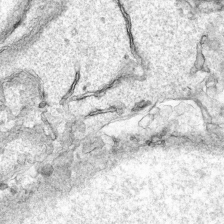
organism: Human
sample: Mitochondria in HCT116 cells